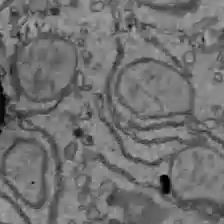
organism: C57BL Mouse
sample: Liver